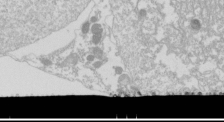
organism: Drosophila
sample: Cell division; meiosis; drosophila spermatocytes